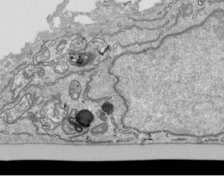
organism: Human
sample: Mitochondria in HCT116 cells